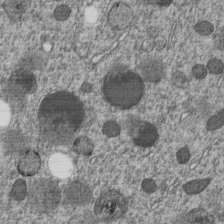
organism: C. elegans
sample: C. elegans embryo early stage